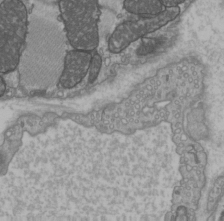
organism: C57BL Mouse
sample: Heart